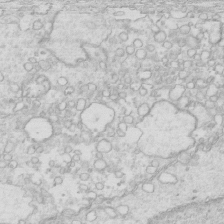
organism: Mouse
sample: Multiciliated cells